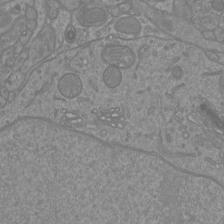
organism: Mouse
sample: Cortical neurons